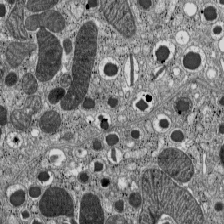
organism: C57BL Mouse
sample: Pancreatic islet